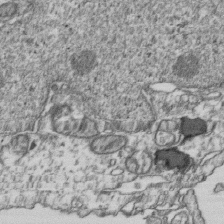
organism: Human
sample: Activated Jurkat CD4+ T cells